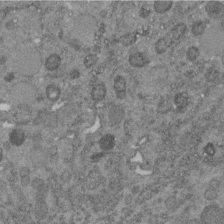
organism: C. elegans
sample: C. elegans embryo early stage